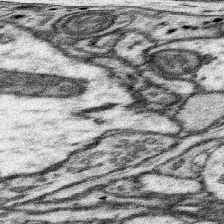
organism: Mouse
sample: Somatosensory cortex neuropil